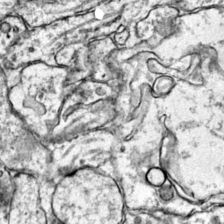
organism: Mouse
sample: Primary visual cortex